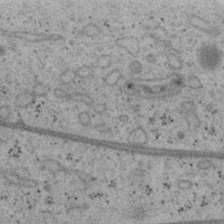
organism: Human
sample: HeLa cells